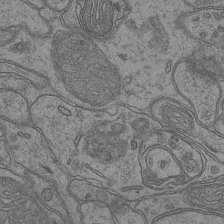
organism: Mouse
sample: CA1 Hippocampus